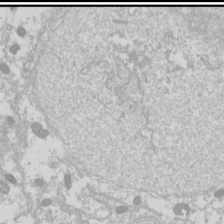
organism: Drosophila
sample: Cell division; meiosis; drosophila spermatocytes